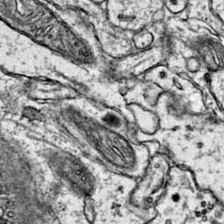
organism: Mouse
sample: Primary visual cortex